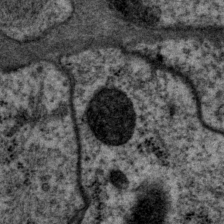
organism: P. pacificus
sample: Pharynx